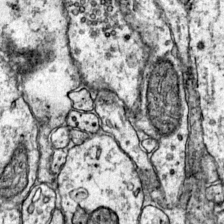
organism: Mouse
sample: Primary visual cortex